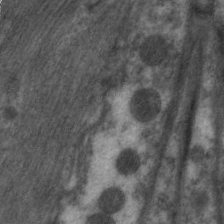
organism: C. elegans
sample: Pharynx